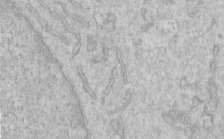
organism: Human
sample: Centriole in RPE cells